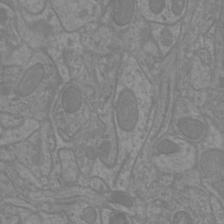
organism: Mouse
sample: Cortical neurons